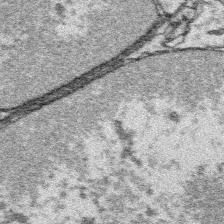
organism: Platynereis dumerilii